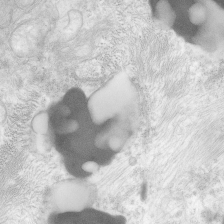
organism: Human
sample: Neocortex